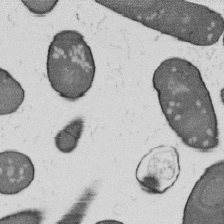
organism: B. subtilis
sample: Bacterial spore